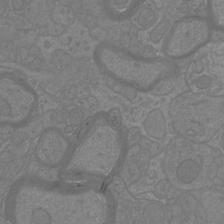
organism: Mouse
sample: Cortical neurons